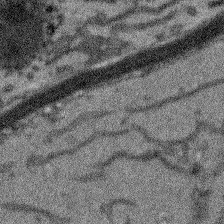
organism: Arabidopsis thaliana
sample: Root tip